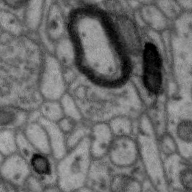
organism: Zebra finch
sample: Brain